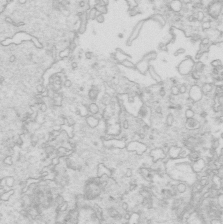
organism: Mouse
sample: Multiciliated cells